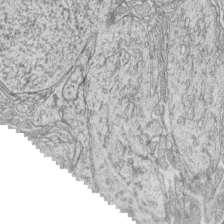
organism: Zebrafish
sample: synaptic ribbons in rod cells and cone cells